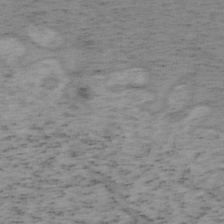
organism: Mouse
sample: OT-I killer T cells with ID8 ovarian cancer cells